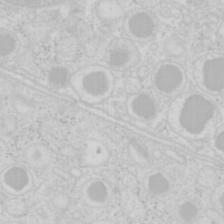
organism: Mouse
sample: Pancreas